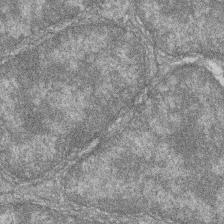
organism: Zebrafish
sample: Cilia; retinal pigment epithelium